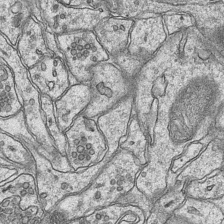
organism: Mouse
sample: CA1 Hippocampus